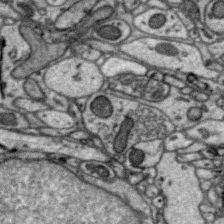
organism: Zebra finch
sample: Brain